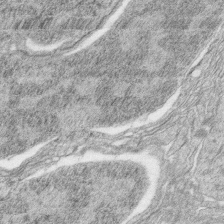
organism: Zebrafish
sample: synaptic ribbons in rod cells and cone cells